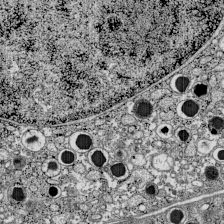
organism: C57BL Mouse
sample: Pancreatic islet